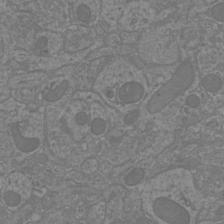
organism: Mouse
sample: Cortical neurons